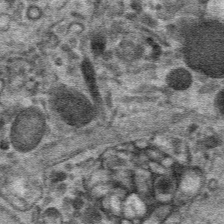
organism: Mouse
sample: Mouse hepatocytes